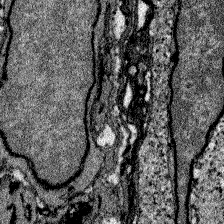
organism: Zebrafish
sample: Larval olfactory bulb